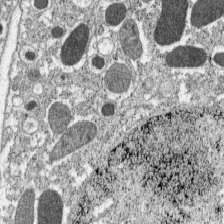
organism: C57BL Mouse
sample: Pancreatic islet